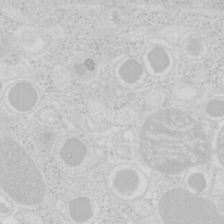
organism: Mouse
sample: Pancreas